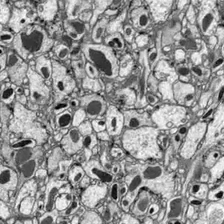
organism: Drosophila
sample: Optic lobe